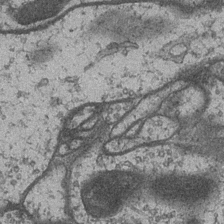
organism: Drosophila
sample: Optic medulla